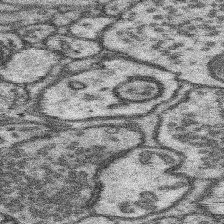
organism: Mouse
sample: Somatosensory cortex neuropil